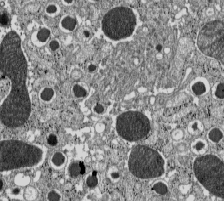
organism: C57BL Mouse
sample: Pancreatic islet